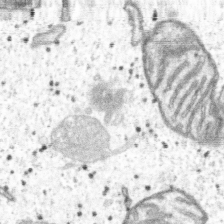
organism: Human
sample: HeLa cells